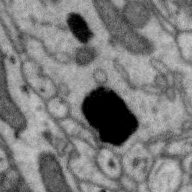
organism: Zebra finch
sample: Brain